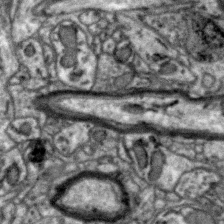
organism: Zebra finch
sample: Brain